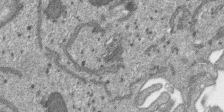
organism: Human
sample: Lung epithelial cells infected with SARS-CoV-2